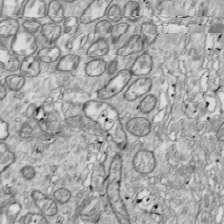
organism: Drosophila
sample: Cell division; meiosis; drosophila spermatocytes